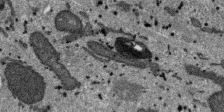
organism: Human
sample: Lung epithelial cells, uninfected (mock) control